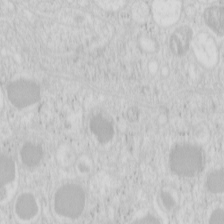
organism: Mouse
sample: Pancreas